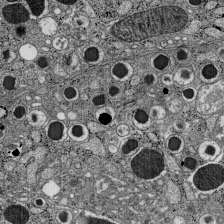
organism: C57BL Mouse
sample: Pancreatic islet